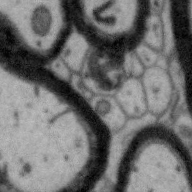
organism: Zebra finch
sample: Brain